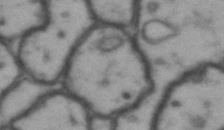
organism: Drosophila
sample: Brain